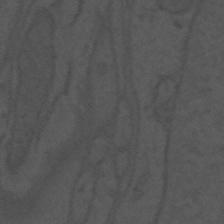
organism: Mouse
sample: Suprachiasmatic nucleus